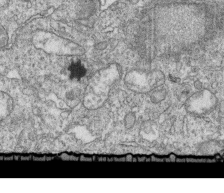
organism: Human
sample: HeLa cell HIV synapse